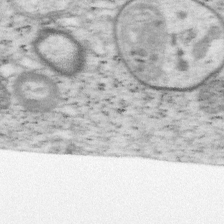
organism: Mouse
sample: OT-I killer T cells with ID8 ovarian cancer cells